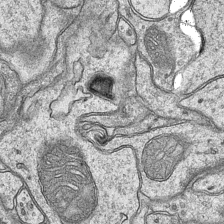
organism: Mouse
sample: CA1 Hippocampus